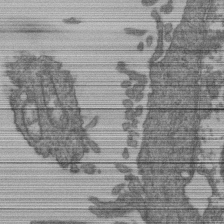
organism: Human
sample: Retinal organoid Rod and Cone cells